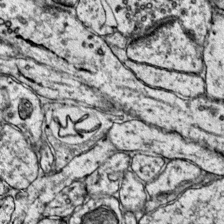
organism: Mouse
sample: Primary visual cortex